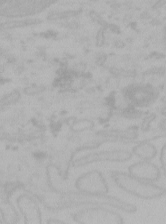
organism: Mouse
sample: Choroid plexus